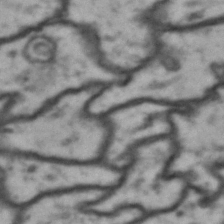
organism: Drosophila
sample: Brain